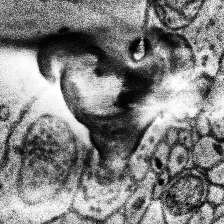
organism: Human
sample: Temporal Lobe